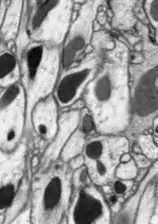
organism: Drosophila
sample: Optic lobe